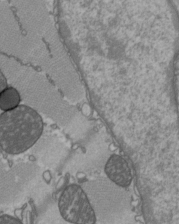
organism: C57BL Mouse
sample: Heart